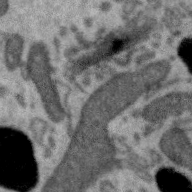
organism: Zebra finch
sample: Brain